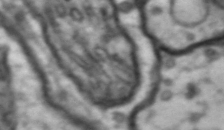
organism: Drosophila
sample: Brain